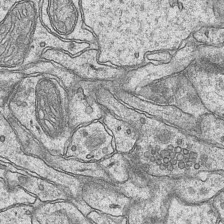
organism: Mouse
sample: CA1 Hippocampus